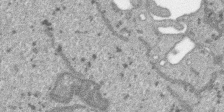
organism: Human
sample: Lung epithelial cells infected with SARS-CoV-2